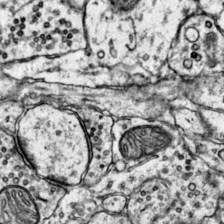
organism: Mouse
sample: Primary visual cortex